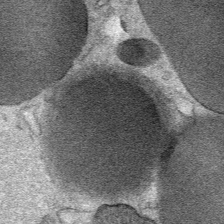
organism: Mouse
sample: Mouse Salivary gland